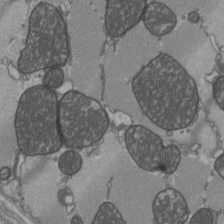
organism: C57BL Mouse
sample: Heart